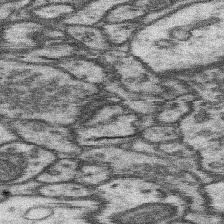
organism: Mouse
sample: Somatosensory cortex neuropil